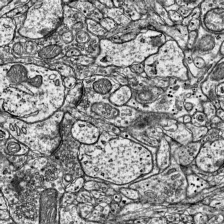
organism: Mouse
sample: Visual Cortex